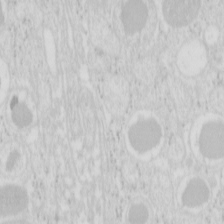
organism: Mouse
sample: Pancreas